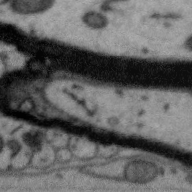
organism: Zebra finch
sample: Brain